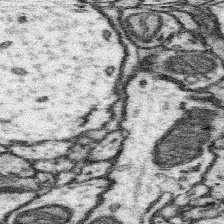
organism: Mouse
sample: Somatosensory cortex neuropil